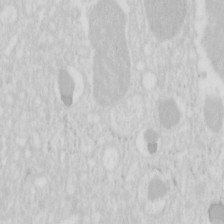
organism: Mouse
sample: Pancreas